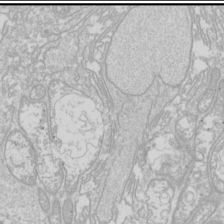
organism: Drosophila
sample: Cell division; meiosis; drosophila spermatocytes